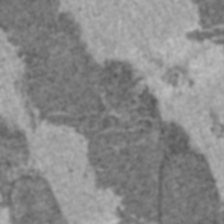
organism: C57BL Mouse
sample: Heart